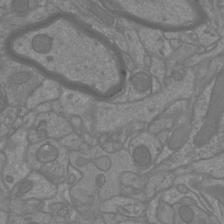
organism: Mouse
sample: Cortical neurons